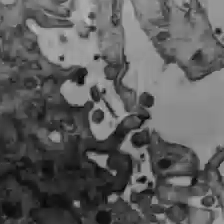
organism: C57BL Mouse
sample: Liver